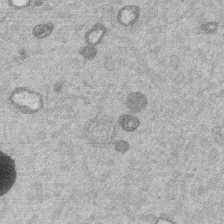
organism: Mouse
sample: Dividing mouse embryo 1 cell stage